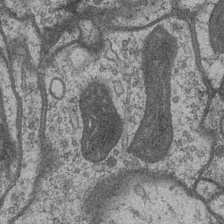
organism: Drosophila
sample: Optic medulla